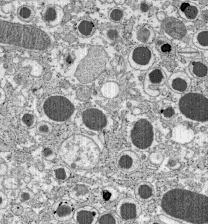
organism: C57BL Mouse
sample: Pancreatic islet